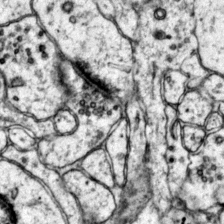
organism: Mouse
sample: Primary visual cortex